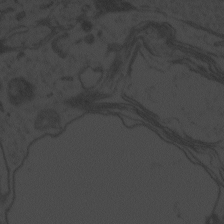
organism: Zebrafish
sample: Macrophage infected with Toxoplasma gondii